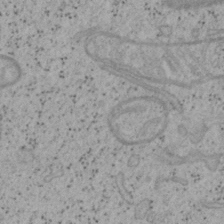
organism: Human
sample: HeLa cells